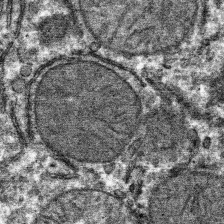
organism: Mouse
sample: Mouse hepatocytes